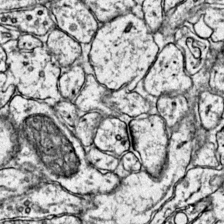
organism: Mouse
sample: Primary visual cortex